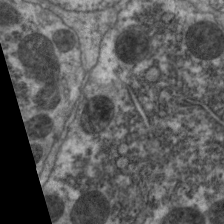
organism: C. elegans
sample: Pharynx